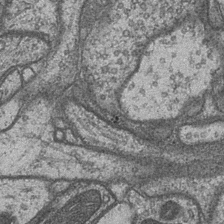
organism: Drosophila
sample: Optic medulla